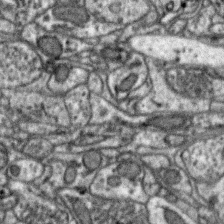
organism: Zebra finch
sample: Brain